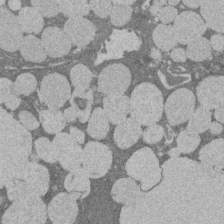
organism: Rat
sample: Salivary granule